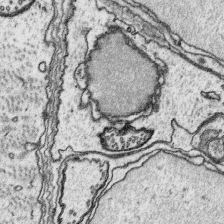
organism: Platynereis dumerilii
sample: Parapodia